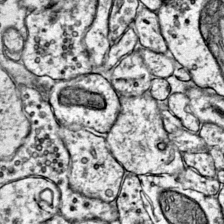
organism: Mouse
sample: Primary visual cortex